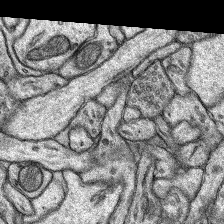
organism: Rat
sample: Hippocampus